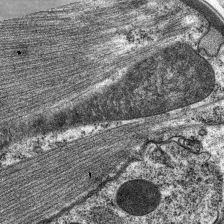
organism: C. elegans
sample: Pharynx